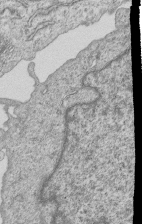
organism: Human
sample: MDA-MB-231 cells